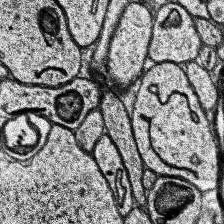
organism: Human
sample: Temporal Lobe